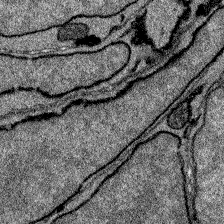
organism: Zebrafish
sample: Larval olfactory bulb